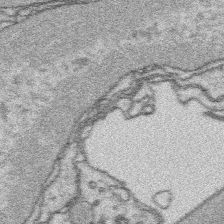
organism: Platynereis dumerilii